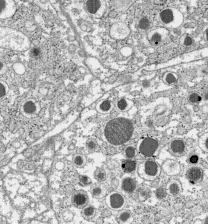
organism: C57BL Mouse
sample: Pancreatic islet